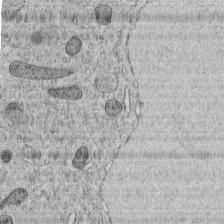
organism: C. elegans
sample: C. elegans embryo early stage